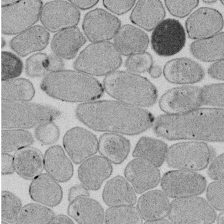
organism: E. coli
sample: Bacterial nucleoid